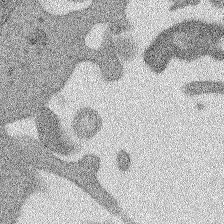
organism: Human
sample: HeLa cells